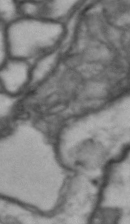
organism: Drosophila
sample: Brain